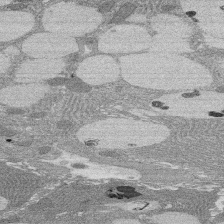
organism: Rat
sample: Salivary granule